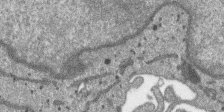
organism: Human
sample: Lung epithelial cells infected with SARS-CoV-2